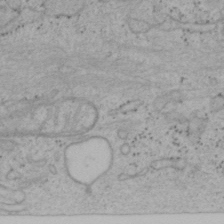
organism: Human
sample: HeLa cells